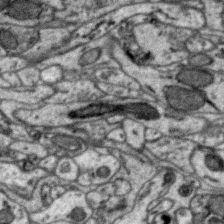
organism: Zebra finch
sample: Brain